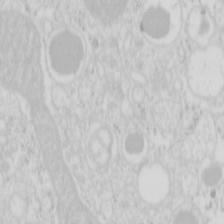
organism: Mouse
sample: Pancreas